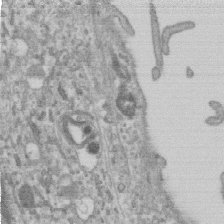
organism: Human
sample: Centriole in RPE cells